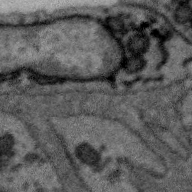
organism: Zebra finch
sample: Brain